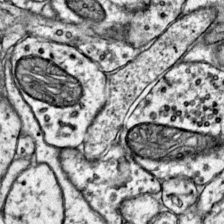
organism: Mouse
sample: Primary visual cortex